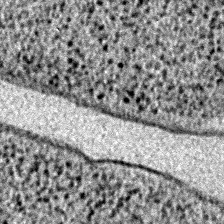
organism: E. coli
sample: E. Coli Bacteria